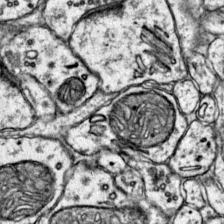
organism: Mouse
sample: Primary visual cortex